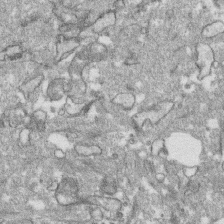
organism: Human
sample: CRL-1474